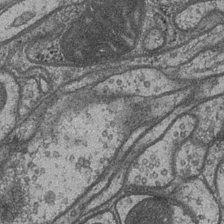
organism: Drosophila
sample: Optic medulla